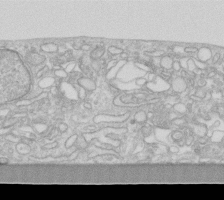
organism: Human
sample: Fibroblast cells